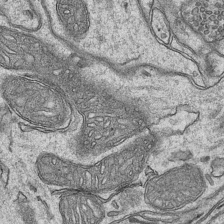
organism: Mouse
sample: CA1 Hippocampus